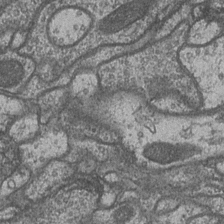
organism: Drosophila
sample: Optic medulla